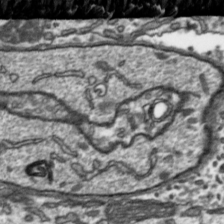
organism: Toxoplasma gondii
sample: Parasites in a vacuole inside a host cell